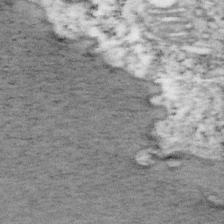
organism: Mouse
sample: OT-I killer T cells with ID8 ovarian cancer cells